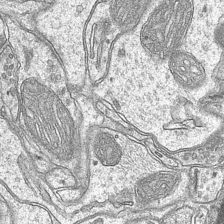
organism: Mouse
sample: CA1 Hippocampus